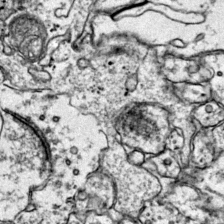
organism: Mouse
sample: Primary visual cortex